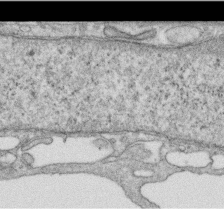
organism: Human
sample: Centriole in RPE cells